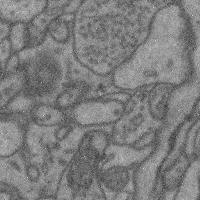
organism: Mouse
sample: Cerebral cortex